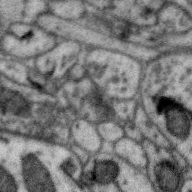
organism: Zebra finch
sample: Brain